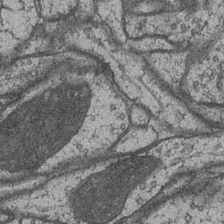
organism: Drosophila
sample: Optic medulla